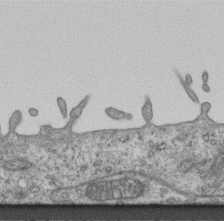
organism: Mouse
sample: Centriole in ependymal cells